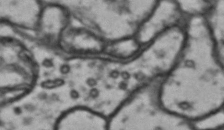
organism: Drosophila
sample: Brain